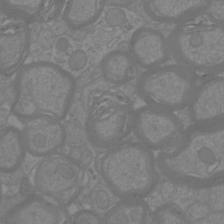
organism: Mouse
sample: Cortical neurons